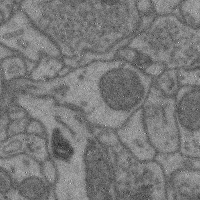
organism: Mouse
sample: Cerebral cortex